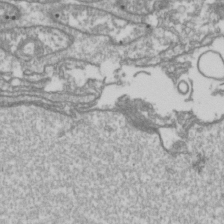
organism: Drosophila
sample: Cell division; meiosis; drosophila spermatocytes